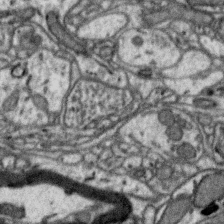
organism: Zebra finch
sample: Brain